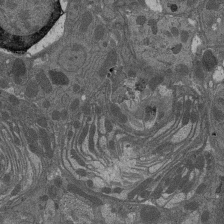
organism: Drosophila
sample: Antenna